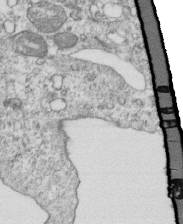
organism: Mouse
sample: Activated OT-1 CD8+ T cells